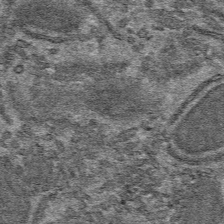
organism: Mouse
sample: Mouse hepatocytes